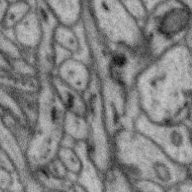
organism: Zebra finch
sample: Brain